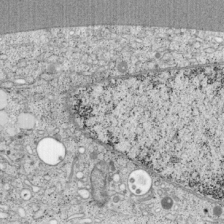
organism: African green monkey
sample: COS-7 cells